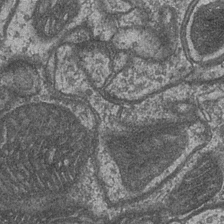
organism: Drosophila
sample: Optic medulla